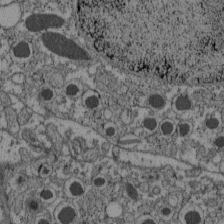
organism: C57BL Mouse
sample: Pancreatic islet